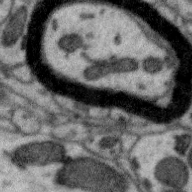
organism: Zebra finch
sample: Brain